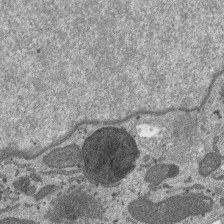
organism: Human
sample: Lung epithelial cells infected with SARS-CoV-2